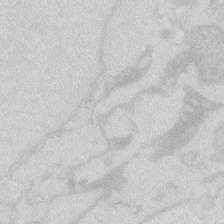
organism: Zebrafish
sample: Macrophage